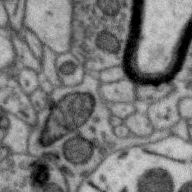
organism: Zebra finch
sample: Brain